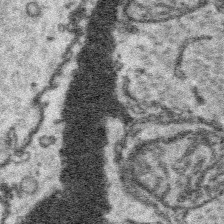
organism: Platynereis dumerilii